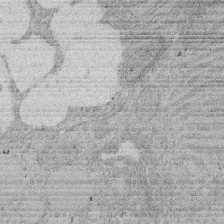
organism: Rat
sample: Salivary granule